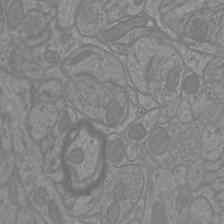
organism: Mouse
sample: Cortical neurons